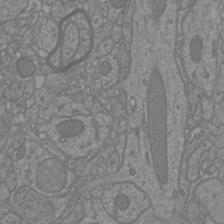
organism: Mouse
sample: Cortical neurons